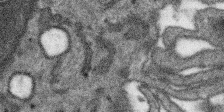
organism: Human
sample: Lung epithelial cells infected with SARS-CoV-2